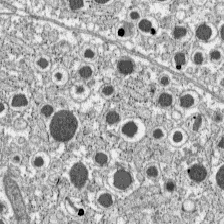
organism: C57BL Mouse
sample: Pancreatic islet